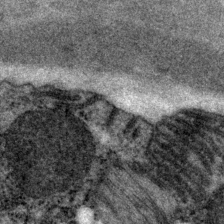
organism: P. pacificus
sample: Pharynx